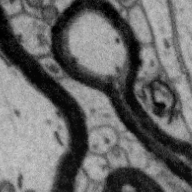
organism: Zebra finch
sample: Brain